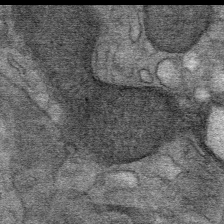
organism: Mouse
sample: Mouse Salivary gland